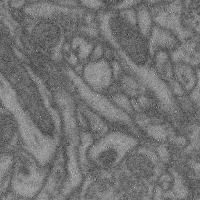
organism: Mouse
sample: Cerebral cortex